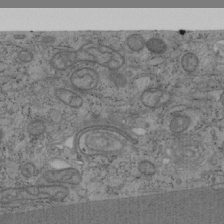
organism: Human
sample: HeLa cells